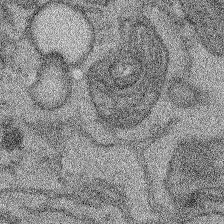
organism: Human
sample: HeLa cells